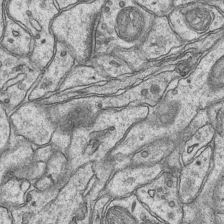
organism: Mouse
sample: CA1 Hippocampus